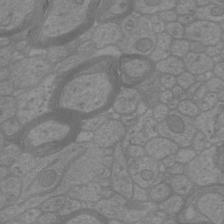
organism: Mouse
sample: Cortical neurons